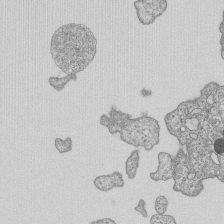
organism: Human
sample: MDA-MB-231 cells